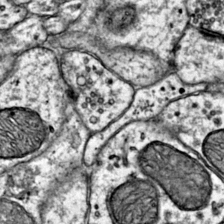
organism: Mouse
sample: Primary visual cortex